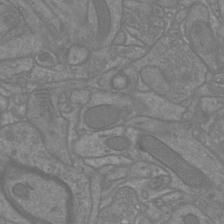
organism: Mouse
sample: Cortical neurons